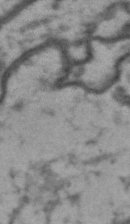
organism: Drosophila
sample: Brain